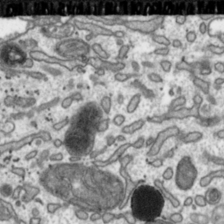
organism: Toxoplasma gondii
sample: Parasites in a vacuole inside a host cell